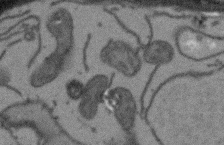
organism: Arabidopsis thaliana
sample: Root tip